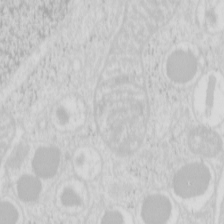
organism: Mouse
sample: Pancreas